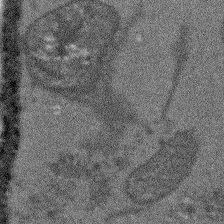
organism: Arabidopsis thaliana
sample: Root tip